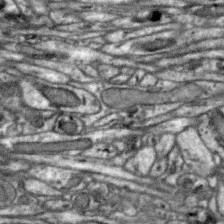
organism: Zebra finch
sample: Brain